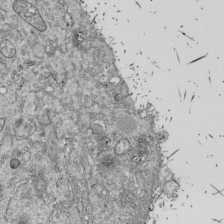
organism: Drosophila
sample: Cell division; meiosis; drosophila spermatocytes